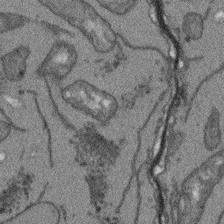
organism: Arabidopsis thaliana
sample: Root tip